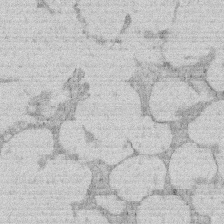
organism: Rat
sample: Salivary granule